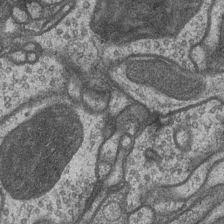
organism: Drosophila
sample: Optic medulla